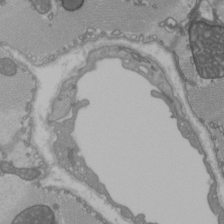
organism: C57BL Mouse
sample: Heart